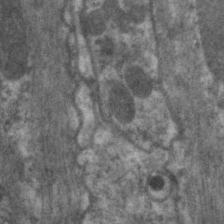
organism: C. elegans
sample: Pharynx